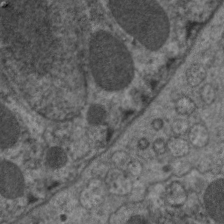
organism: C. elegans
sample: Pharynx